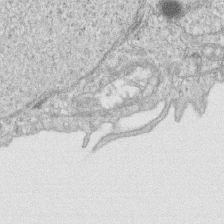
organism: Human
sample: HeLa cell HIV synapse